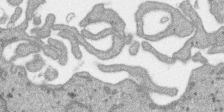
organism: Human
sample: Lung epithelial cells infected with SARS-CoV-2